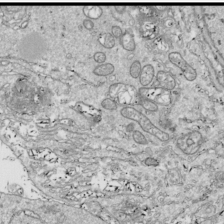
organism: Drosophila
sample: Cell division; meiosis; drosophila spermatocytes